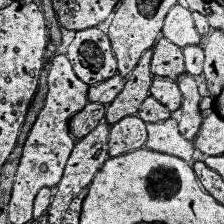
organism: Human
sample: Temporal Lobe